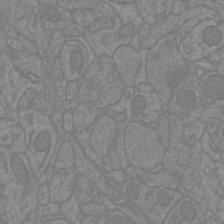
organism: Mouse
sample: Cortical neurons